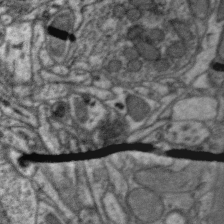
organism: Zebra finch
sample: Brain